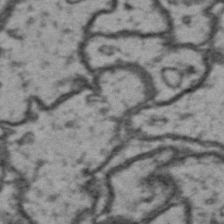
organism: Drosophila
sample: Brain